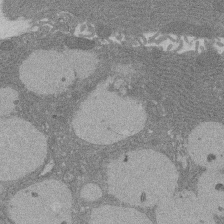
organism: Rat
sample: Salivary granule